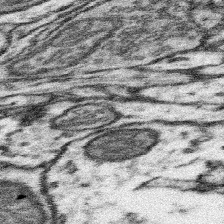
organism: Mouse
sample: Somatosensory cortex neuropil